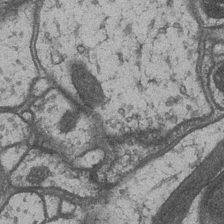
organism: Drosophila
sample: Optic medulla